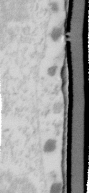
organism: Human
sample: U2-OS cells